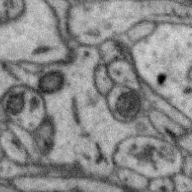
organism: Zebra finch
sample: Brain